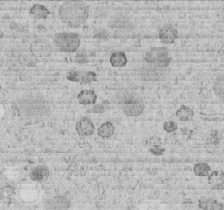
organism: C. elegans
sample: C. elegans embryo early stage